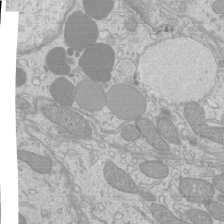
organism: Mouse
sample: Cilia; mouse epididymis